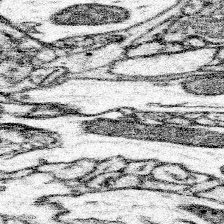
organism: Mouse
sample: Somatosensory cortex neuropil